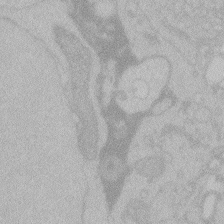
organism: Zebrafish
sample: Macrophage infected with Toxoplasma gondii